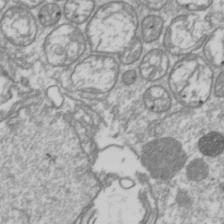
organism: Drosophila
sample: Cell division; meiosis; drosophila spermatocytes